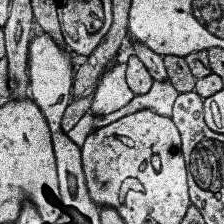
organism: Human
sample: Temporal Lobe